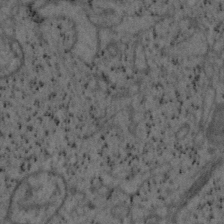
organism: Human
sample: HeLa cells